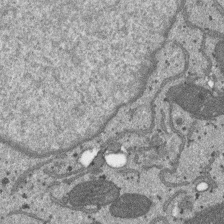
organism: Human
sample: Lung epithelial cells infected with SARS-CoV-2